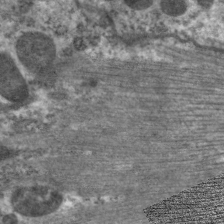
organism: C. elegans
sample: Pharynx